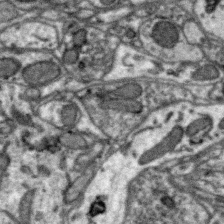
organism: Zebra finch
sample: Brain